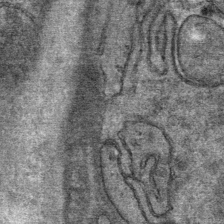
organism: Mouse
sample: Mouse Salivary gland